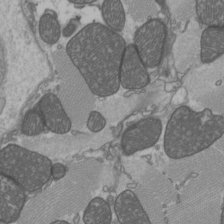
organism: C57BL Mouse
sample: Heart